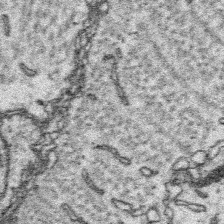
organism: Platynereis dumerilii